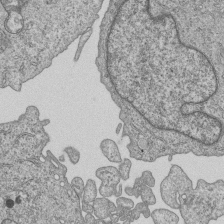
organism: Human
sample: MDA-MB-231 cells